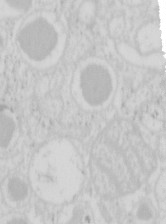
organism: Mouse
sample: Pancreas